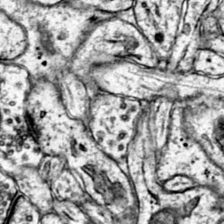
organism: Mouse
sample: Primary visual cortex